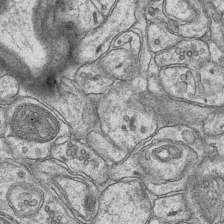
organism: Mouse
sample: CA1 Hippocampus